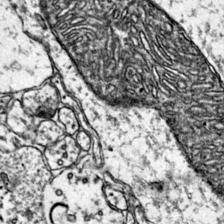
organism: Mouse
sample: Primary visual cortex